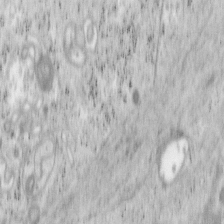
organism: Human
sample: HeLa cells